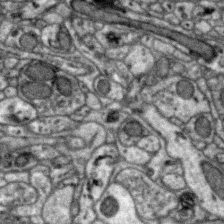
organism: Zebra finch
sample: Brain